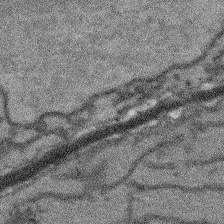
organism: Arabidopsis thaliana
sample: Root tip